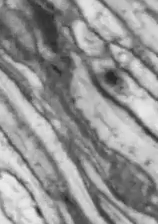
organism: Drosophila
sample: Optic lobe